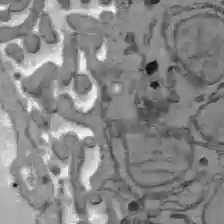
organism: C57BL Mouse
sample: Liver